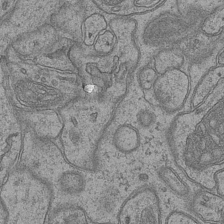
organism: Mouse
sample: CA1 Hippocampus